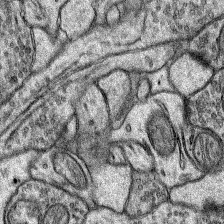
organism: Rat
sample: Hippocampus